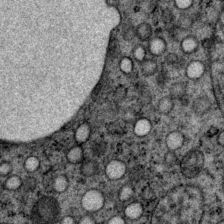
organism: P. pacificus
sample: Pharynx